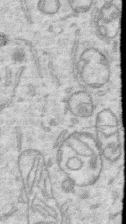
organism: Human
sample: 1205lu cells